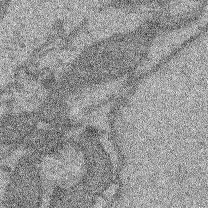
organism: Human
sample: HeLa cells